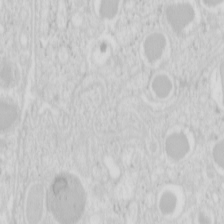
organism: Mouse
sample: Pancreas